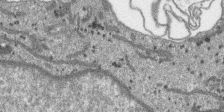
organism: Human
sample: Lung epithelial cells infected with SARS-CoV-2